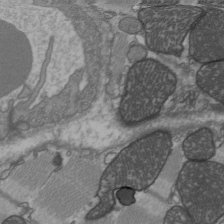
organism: C57BL Mouse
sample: Heart